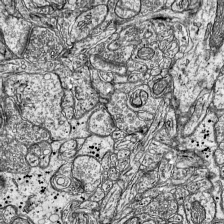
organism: Mouse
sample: Visual Cortex